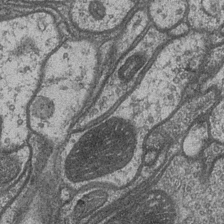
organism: Drosophila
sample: Optic medulla